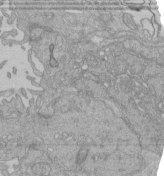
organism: Human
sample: Retinal organoid Rod and Cone cells